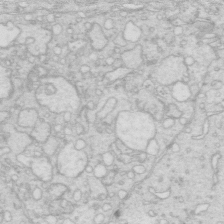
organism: Mouse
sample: Multiciliated cells